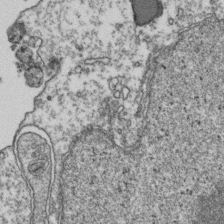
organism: Human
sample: Activated Jurkat CD4+ T cells